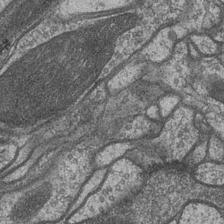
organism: Drosophila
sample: Optic medulla